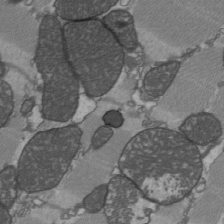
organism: C57BL Mouse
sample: Heart